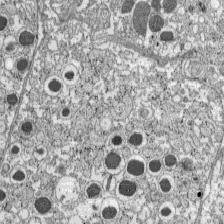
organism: C57BL Mouse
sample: Pancreatic islet